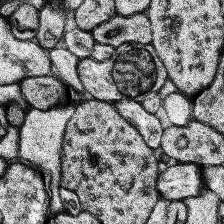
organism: Human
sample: Temporal Lobe